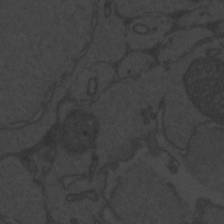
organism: Zebrafish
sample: Macrophage infected with Toxoplasma gondii